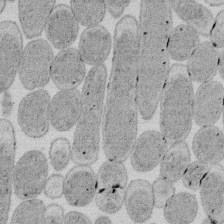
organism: E. coli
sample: Bacterial nucleoid